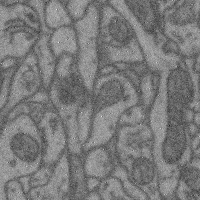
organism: Mouse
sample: Cerebral cortex